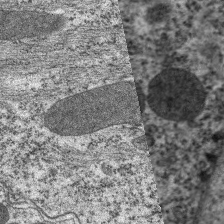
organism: C. elegans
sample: Pharynx